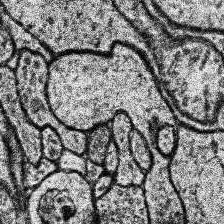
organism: Human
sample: Temporal Lobe